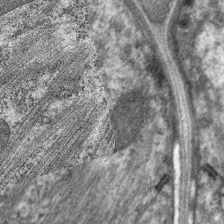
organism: C. elegans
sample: Pharynx